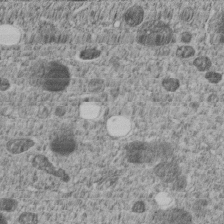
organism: C. elegans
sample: C. elegans embryo early stage